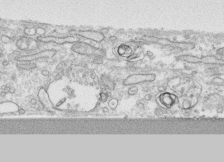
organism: Human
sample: CRL-1474